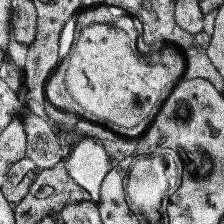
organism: Human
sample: Temporal Lobe